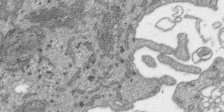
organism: Human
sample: Lung epithelial cells infected with SARS-CoV-2